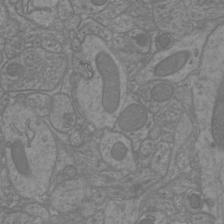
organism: Mouse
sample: Cortical neurons